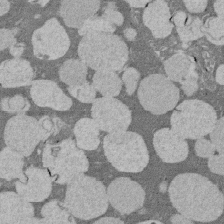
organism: Rat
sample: Salivary granule